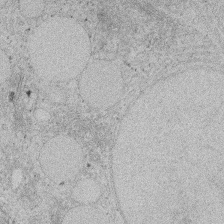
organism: Rat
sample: Salivary granule